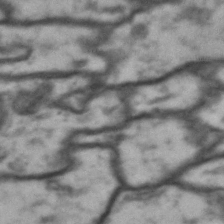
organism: Drosophila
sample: Brain